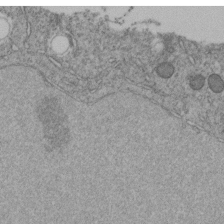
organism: C. elegans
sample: C. elegans embryo early stage